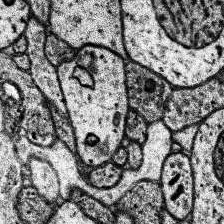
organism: Human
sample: Temporal Lobe